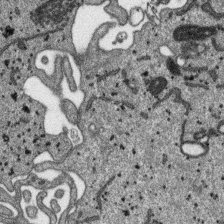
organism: Human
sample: Lung epithelial cells infected with SARS-CoV-2